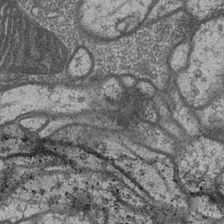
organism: Drosophila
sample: Optic medulla